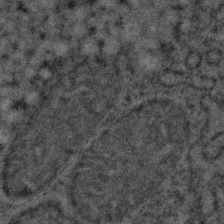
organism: C. elegans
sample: C. elegans embryo